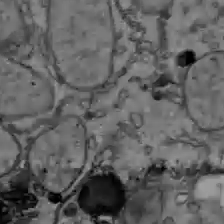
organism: C57BL Mouse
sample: Liver